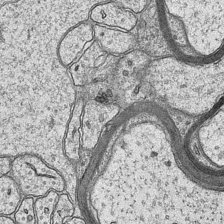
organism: Mouse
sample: CA1 Hippocampus